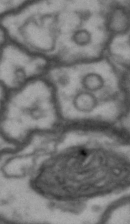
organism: Drosophila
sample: Brain